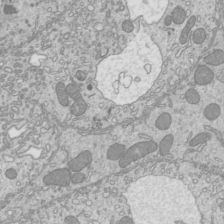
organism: Mouse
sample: Cilia; mouse epididymis